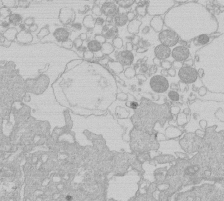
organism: Human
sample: Macrophage cells